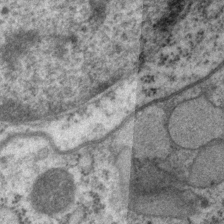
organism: P. pacificus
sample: Pharynx